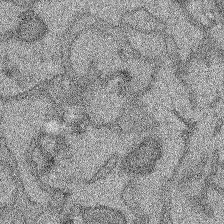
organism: Human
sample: HeLa cells